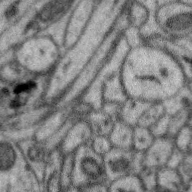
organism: Zebra finch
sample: Brain